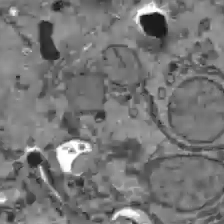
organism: C57BL Mouse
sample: Liver